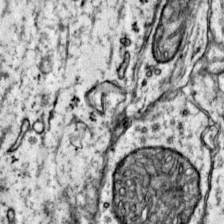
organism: Mouse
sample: Primary visual cortex